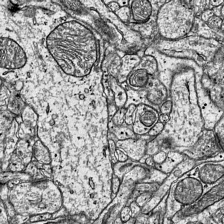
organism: Mouse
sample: Visual Cortex